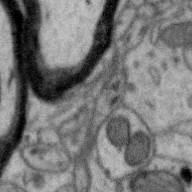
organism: Zebra finch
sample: Brain